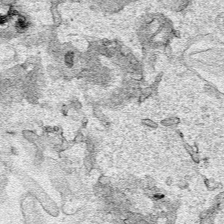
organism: Human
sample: Mitochondria in HCT116 cells